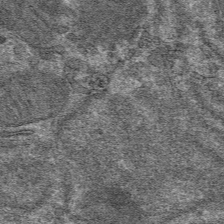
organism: Mouse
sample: Mouse hepatocytes